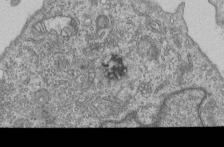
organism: Human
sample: MDA-MB-231 cells